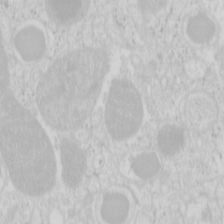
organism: Mouse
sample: Pancreas